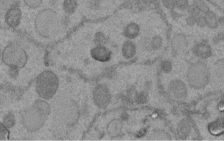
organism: C. elegans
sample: C. elegans embryo early stage